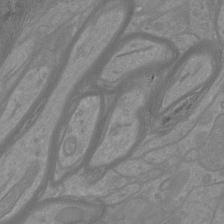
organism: Mouse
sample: Cortical neurons